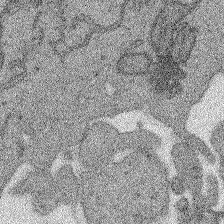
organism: Human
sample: HeLa cells